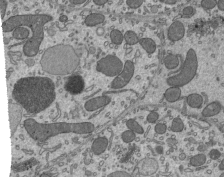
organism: Mouse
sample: Mouse epididymis efferent ductule cilia